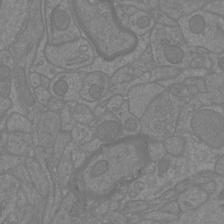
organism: Mouse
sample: Cortical neurons